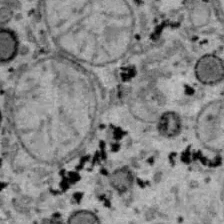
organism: Mouse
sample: Liver from an obese (ob/ob) mouse